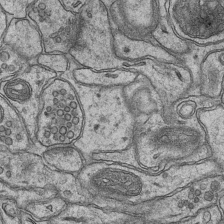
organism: Mouse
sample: CA1 Hippocampus